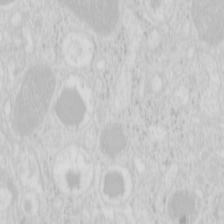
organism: Mouse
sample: Pancreas